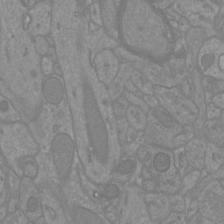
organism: Mouse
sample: Cortical neurons